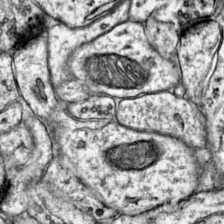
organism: Mouse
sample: Primary visual cortex